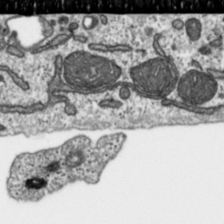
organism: Toxoplasma gondii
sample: Parasites in a vacuole inside a host cell